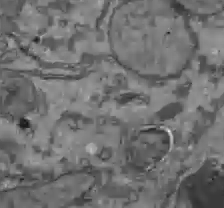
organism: C57BL Mouse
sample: Liver